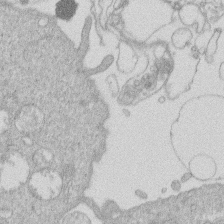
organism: Human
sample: Macrophage cells